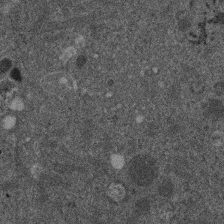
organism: Mouse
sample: Dividing mouse embryo 1 cell stage